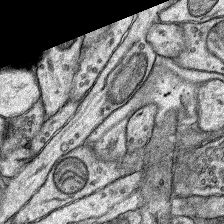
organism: Rat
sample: Hippocampus